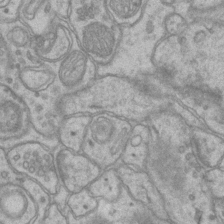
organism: Mouse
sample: CA1 Hippocampus